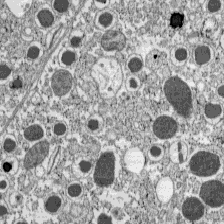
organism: C57BL Mouse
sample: Pancreatic islet